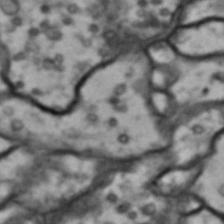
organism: Drosophila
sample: Brain